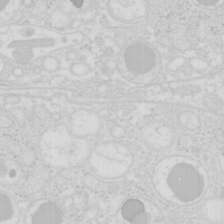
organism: Mouse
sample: Pancreas